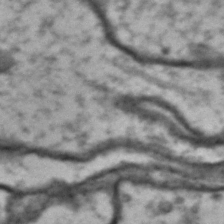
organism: Drosophila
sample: Brain